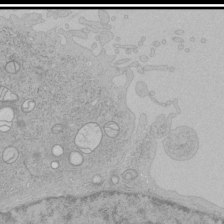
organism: Human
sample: Mitochondria in HCT116 cells